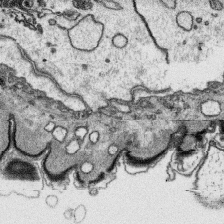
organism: Platynereis dumerilii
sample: Parapodia